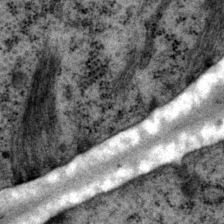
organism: P. pacificus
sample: Pharynx